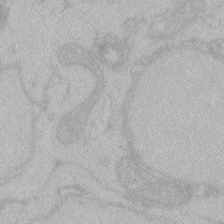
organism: Zebrafish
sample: Macrophage infected with Toxoplasma gondii